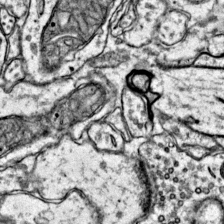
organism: Mouse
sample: Primary visual cortex